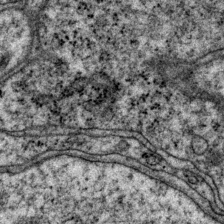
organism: P. pacificus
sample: Pharynx